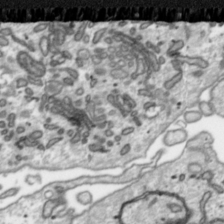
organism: Toxoplasma gondii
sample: Parasites in a vacuole inside a host cell